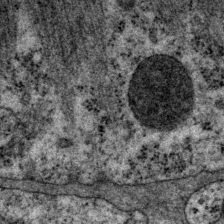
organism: P. pacificus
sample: Pharynx